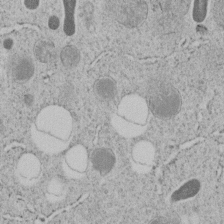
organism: C. elegans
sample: C. elegans embryo early stage